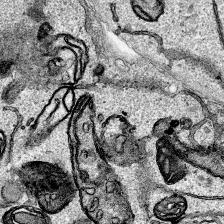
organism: Human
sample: Mitochondria in HCT116 cells